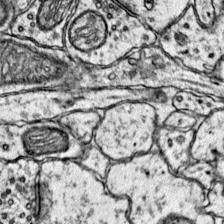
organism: Mouse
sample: Primary visual cortex